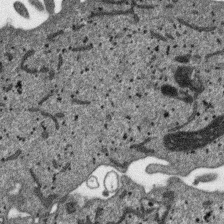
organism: Human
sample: Lung epithelial cells infected with SARS-CoV-2